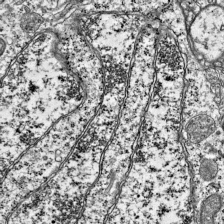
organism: Mouse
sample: Visual Cortex